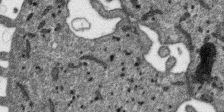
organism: Human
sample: Lung epithelial cells infected with SARS-CoV-2